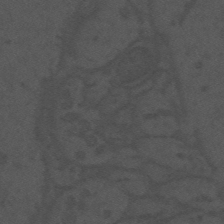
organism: Mouse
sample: Suprachiasmatic nucleus